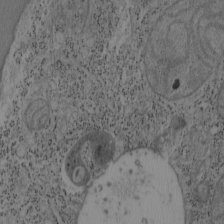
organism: Mouse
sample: OT-I killer T cells with ID8 ovarian cancer cells